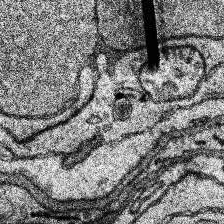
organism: Human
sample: Temporal Lobe